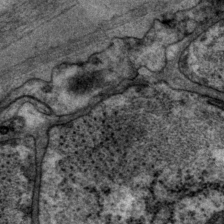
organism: P. pacificus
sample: Pharynx